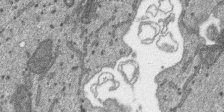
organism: Human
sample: Lung epithelial cells infected with SARS-CoV-2